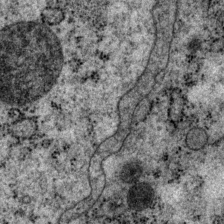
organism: P. pacificus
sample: Pharynx